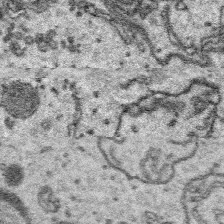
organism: Platynereis dumerilii